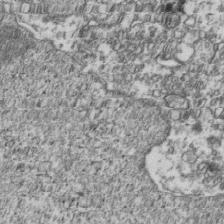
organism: Human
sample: Activated Jurkat CD4+ T cells